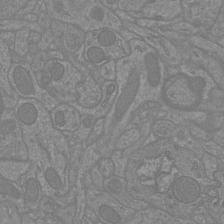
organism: Mouse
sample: Cortical neurons